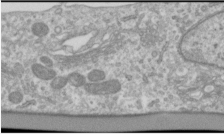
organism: Human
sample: Cilia; basal body in RPE cells